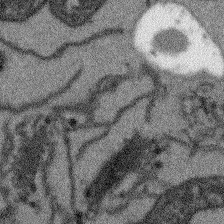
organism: Arabidopsis thaliana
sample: Root tip